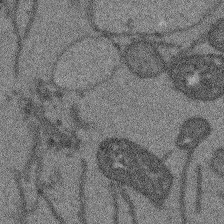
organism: Arabidopsis thaliana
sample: Root tip